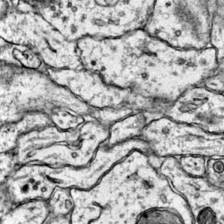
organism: Mouse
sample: Primary visual cortex